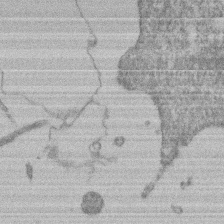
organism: Mouse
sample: T cell stromal cell synapse